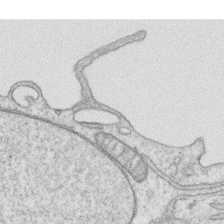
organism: Human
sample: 1205lu cells